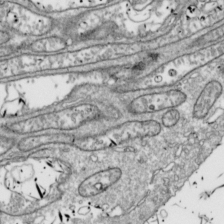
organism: Drosophila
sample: Cell division; meiosis; drosophila spermatocytes